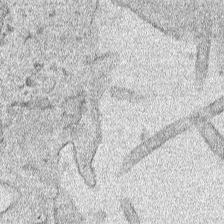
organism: Human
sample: Mitochondria in HCT116 cells